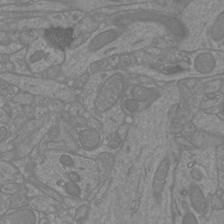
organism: Mouse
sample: Cortical neurons